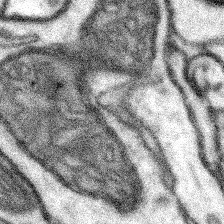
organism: Mouse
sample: Somatosensory cortex neuropil